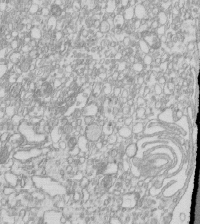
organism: Mouse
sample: Macrophages